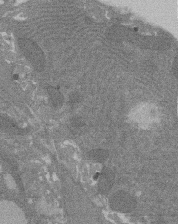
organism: Rat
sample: Salivary granule